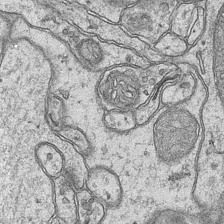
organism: Mouse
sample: CA1 Hippocampus